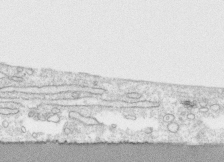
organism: Human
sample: CRL-1474